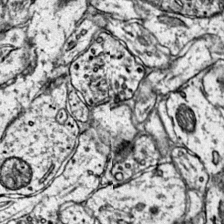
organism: Mouse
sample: Primary visual cortex